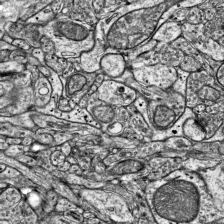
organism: Mouse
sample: Visual Cortex